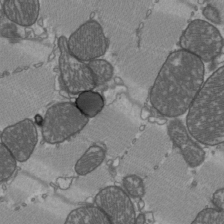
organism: C57BL Mouse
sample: Heart